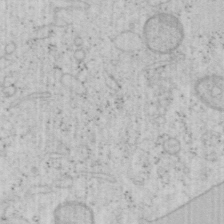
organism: Human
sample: HeLa cells